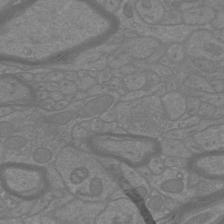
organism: Mouse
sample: Cortical neurons